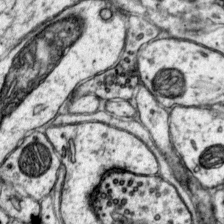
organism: Mouse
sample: Primary visual cortex